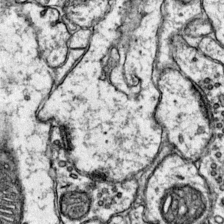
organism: Mouse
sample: Primary visual cortex